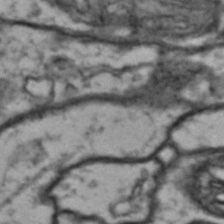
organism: Drosophila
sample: Brain